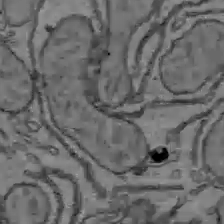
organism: C57BL Mouse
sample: Liver